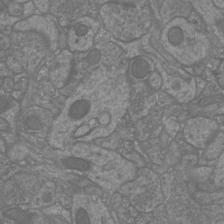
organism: Mouse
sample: Cortical neurons